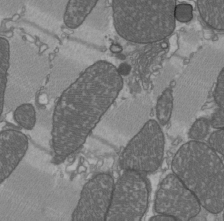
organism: C57BL Mouse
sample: Heart